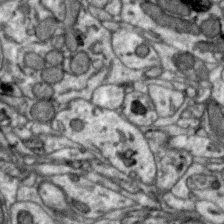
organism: Zebra finch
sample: Brain